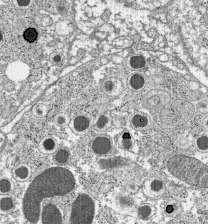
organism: C57BL Mouse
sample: Pancreatic islet